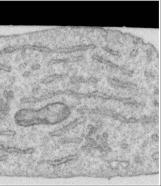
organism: Human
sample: Centriole in RPE cells